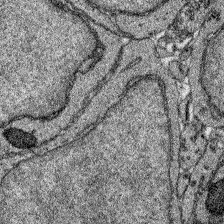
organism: Zebrafish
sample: Larval olfactory bulb